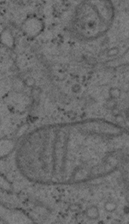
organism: Human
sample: HeLa cells